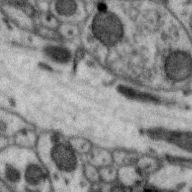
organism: Zebra finch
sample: Brain